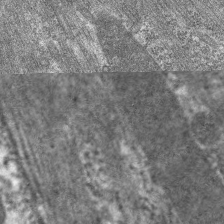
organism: C. elegans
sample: Pharynx